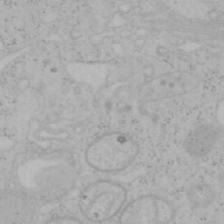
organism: Mouse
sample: OT-I killer T cells with ID8 ovarian cancer cells